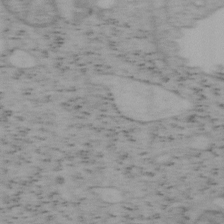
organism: Mouse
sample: OT-I killer T cells with ID8 ovarian cancer cells